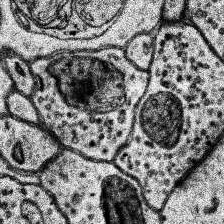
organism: Human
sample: Temporal Lobe